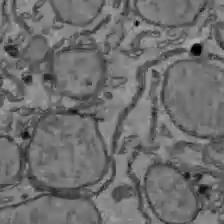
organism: C57BL Mouse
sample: Liver